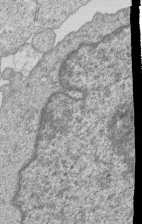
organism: Human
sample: MDA-MB-231 cells